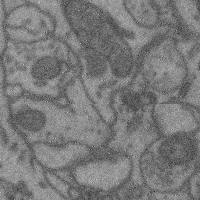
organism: Mouse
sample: Cerebral cortex